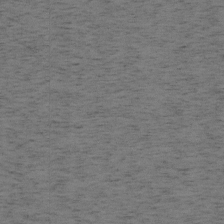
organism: Mouse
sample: OT-I killer T cells with ID8 ovarian cancer cells